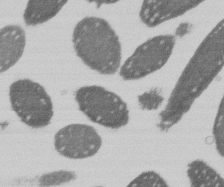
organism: E. coli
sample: Bacterial nucleoid